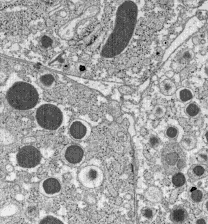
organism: C57BL Mouse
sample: Pancreatic islet